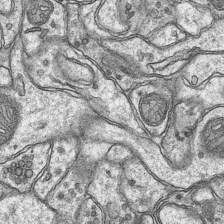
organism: Mouse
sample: CA1 Hippocampus